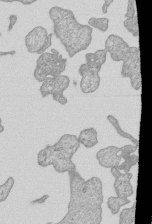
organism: Human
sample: MDA-MB-231 cells